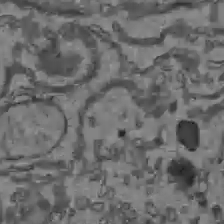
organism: C57BL Mouse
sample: Liver